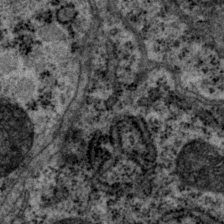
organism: P. pacificus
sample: Pharynx